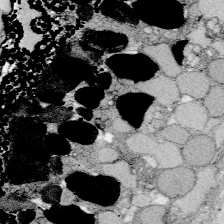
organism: Zebrafish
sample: Whole-Brain